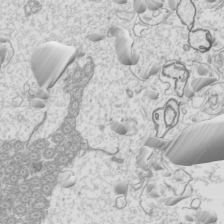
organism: Mouse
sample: Cilia; mouse epididymis